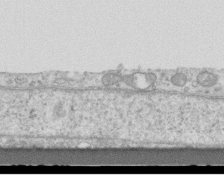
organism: Mouse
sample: Centriole in ependymal cells